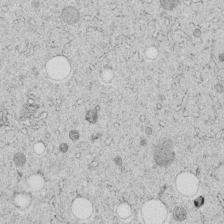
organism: C. elegans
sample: C. elegans embryo early stage